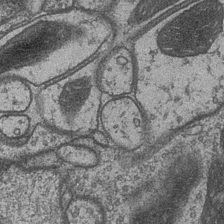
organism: Drosophila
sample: Optic medulla